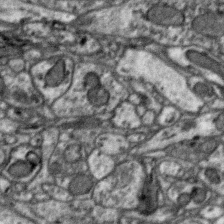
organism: Zebra finch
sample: Brain